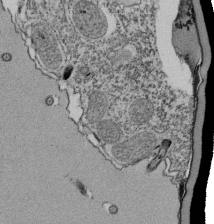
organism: Tetrahymena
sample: Cilia in tetrahymena